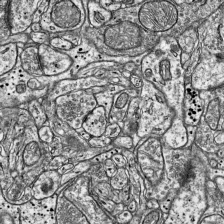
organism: Mouse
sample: Visual Cortex